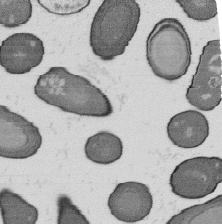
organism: B. subtilis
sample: Bacterial spore